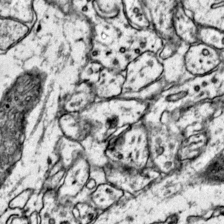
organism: Mouse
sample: Primary visual cortex